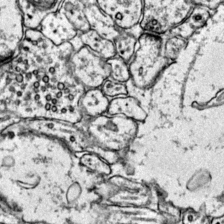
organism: Mouse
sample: Primary visual cortex